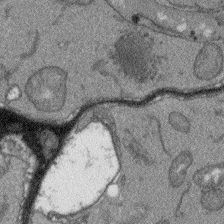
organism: Arabidopsis thaliana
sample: Root tip